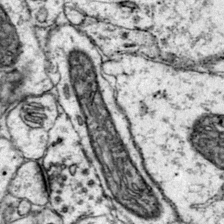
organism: Mouse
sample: Primary visual cortex